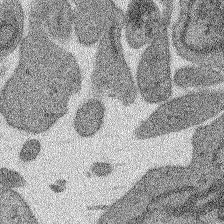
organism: Human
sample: HeLa cells